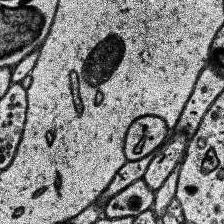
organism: Human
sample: Temporal Lobe